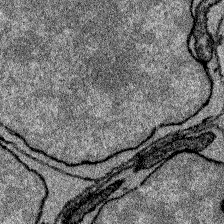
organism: Zebrafish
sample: Larval olfactory bulb